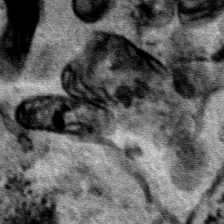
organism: Human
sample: Mitochondria in HCT116 cells